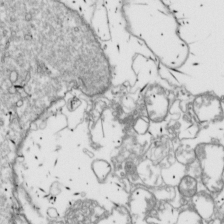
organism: Drosophila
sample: Cell division; meiosis; drosophila spermatocytes